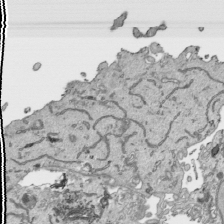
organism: Human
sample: Mitochondria in HCT116 cells